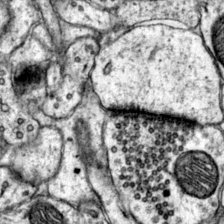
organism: Mouse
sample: Primary visual cortex